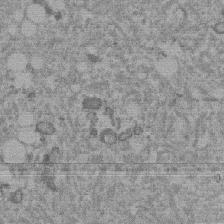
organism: Mouse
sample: Dividing mouse embryo 1 cell stage